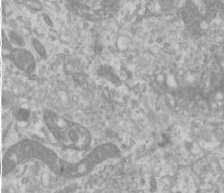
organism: Human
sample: Cilia; basal body in RPE cells